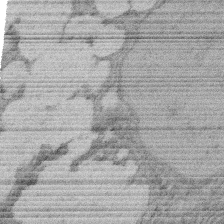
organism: Rat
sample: Salivary granule